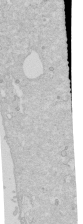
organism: Human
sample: Caco-2 cells